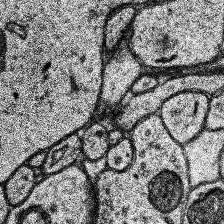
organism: Human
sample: Temporal Lobe